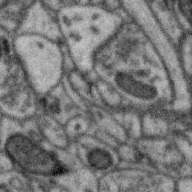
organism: Zebra finch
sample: Brain